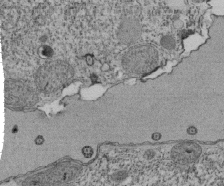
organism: Tetrahymena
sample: Cilia in tetrahymena